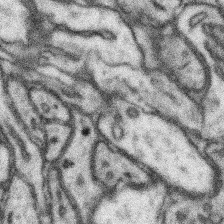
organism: Mouse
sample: Somatosensory cortex neuropil